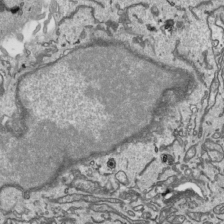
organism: Human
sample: Mitochondria in HCT116 cells